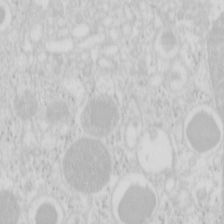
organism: Mouse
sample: Pancreas